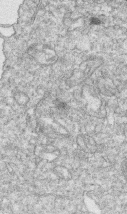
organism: Human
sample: HeLa cell HIV synapse